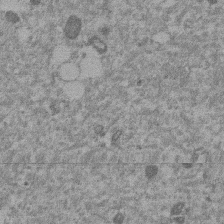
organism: Mouse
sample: Dividing mouse embryo 1 cell stage